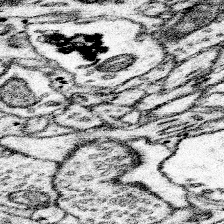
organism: Mouse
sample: Somatosensory cortex neuropil